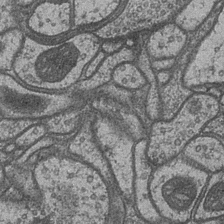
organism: Drosophila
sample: Optic medulla